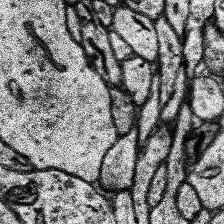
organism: Human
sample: Temporal Lobe